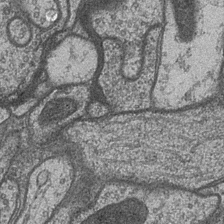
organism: Drosophila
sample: Optic medulla